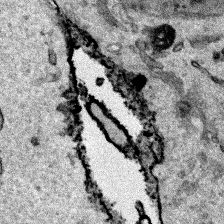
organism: Human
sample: Mitochondria in HCT116 cells